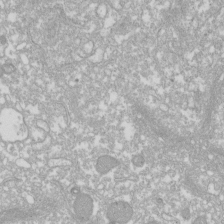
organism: Xenopus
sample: Cilia; centrioles in frog embryo cells